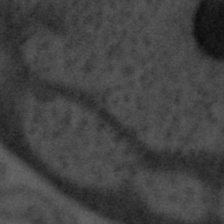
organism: Tuwongella immobilis